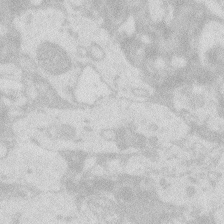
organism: Zebrafish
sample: Macrophage